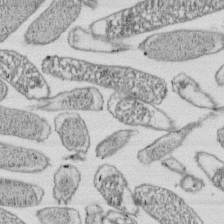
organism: E. coli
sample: Bacterial nucleoid